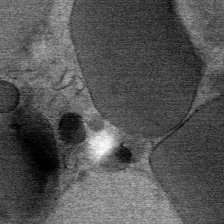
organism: Mouse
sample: Mouse Salivary gland